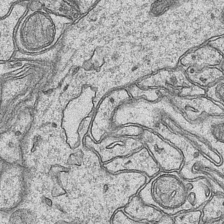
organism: Mouse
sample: CA1 Hippocampus